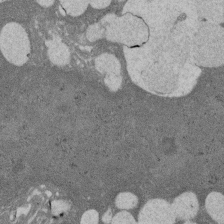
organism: Rat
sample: Salivary granule